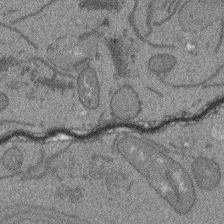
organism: Arabidopsis thaliana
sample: Root tip